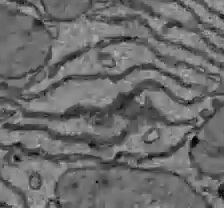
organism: C57BL Mouse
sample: Liver